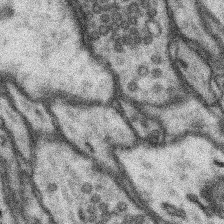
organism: Mouse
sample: Somatosensory cortex neuropil